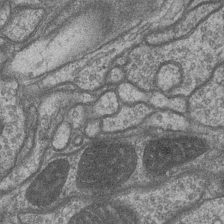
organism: Drosophila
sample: Optic medulla